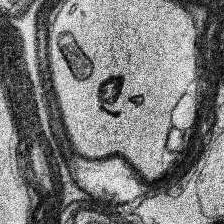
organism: Human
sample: Temporal Lobe